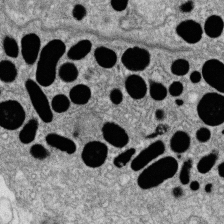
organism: Zebrafish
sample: Cilia; retinal pigment epithelium